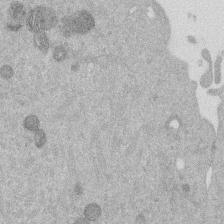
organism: Mouse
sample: Dividing mouse embryo 1 cell stage